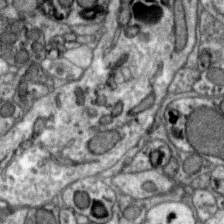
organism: Zebra finch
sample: Brain